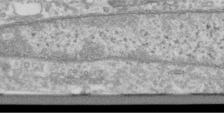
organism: Human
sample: Centriole in RPE cells